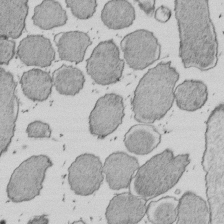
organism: E. coli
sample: Bacterial nucleoid